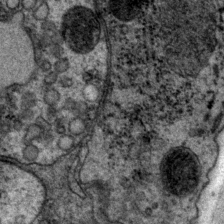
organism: P. pacificus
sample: Pharynx